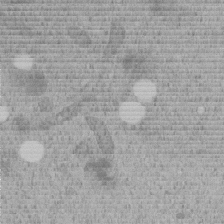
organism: C. elegans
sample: C. elegans embryo early stage